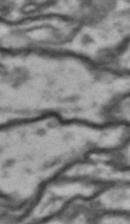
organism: Drosophila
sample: Brain